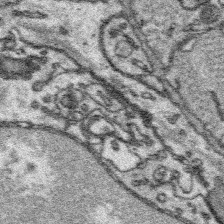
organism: Platynereis dumerilii